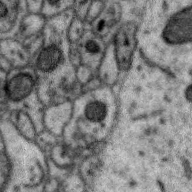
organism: Zebra finch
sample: Brain